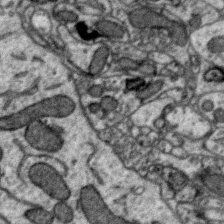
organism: Zebra finch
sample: Brain